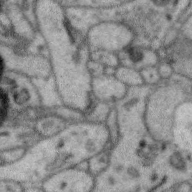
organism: Zebra finch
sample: Brain